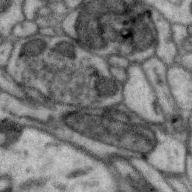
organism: Zebra finch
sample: Brain